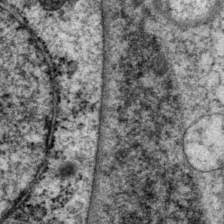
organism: P. pacificus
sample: Pharynx